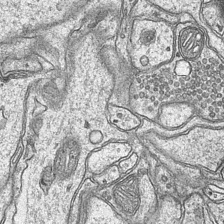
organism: Mouse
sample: CA1 Hippocampus